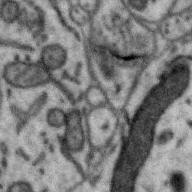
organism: Zebra finch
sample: Brain